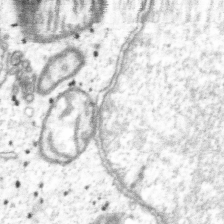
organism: Human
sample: HeLa cells